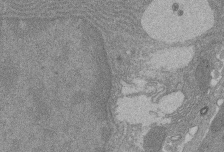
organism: Rat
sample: Salivary granule